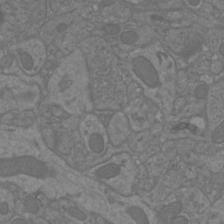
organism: Mouse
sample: Cortical neurons